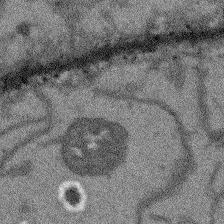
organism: Arabidopsis thaliana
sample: Root tip